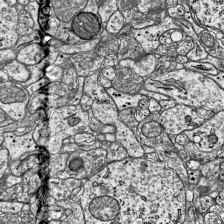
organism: Mouse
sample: Visual Cortex